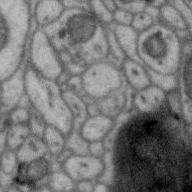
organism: Zebra finch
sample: Brain